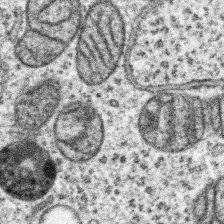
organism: Human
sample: HeLa cells